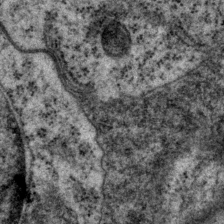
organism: P. pacificus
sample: Pharynx